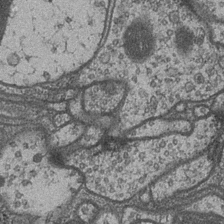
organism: Drosophila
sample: Optic medulla